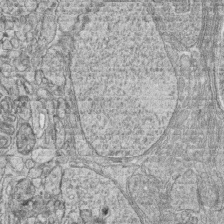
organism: Zebrafish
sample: synaptic ribbons in rod cells and cone cells